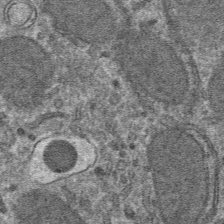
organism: Mouse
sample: Mouse hepatocytes